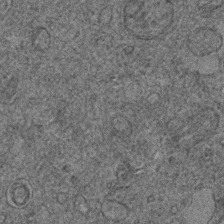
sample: Trachea